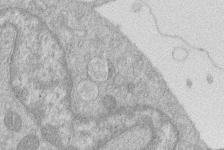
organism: Human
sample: Macrophage cells